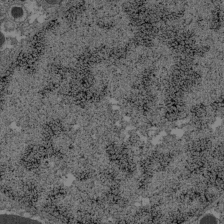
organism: C57BL Mouse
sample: Pancreatic islet